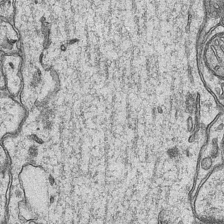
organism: Mouse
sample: CA1 Hippocampus